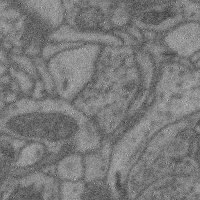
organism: Mouse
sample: Cerebral cortex